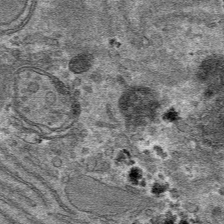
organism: Mouse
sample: Mouse hepatocytes